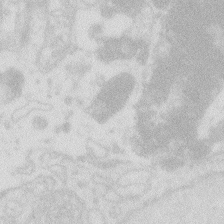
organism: Zebrafish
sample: Macrophage